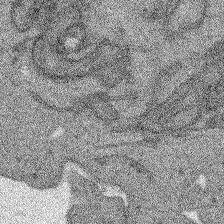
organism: Human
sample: HeLa cells